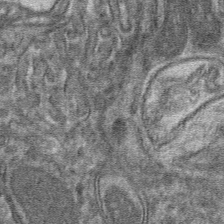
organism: Mouse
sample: Mouse hepatocytes